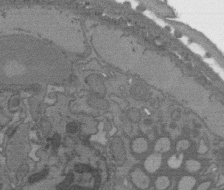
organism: C. elegans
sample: AFD neurons C. elegans